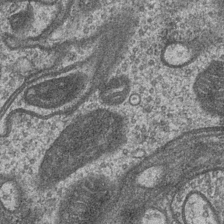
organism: Drosophila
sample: Optic medulla